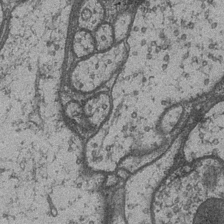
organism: Drosophila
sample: Optic medulla